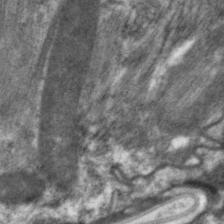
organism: C. elegans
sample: Pharynx